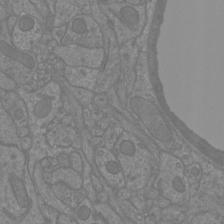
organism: Mouse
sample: Cortical neurons